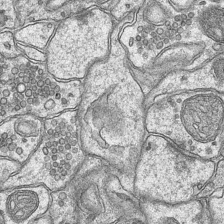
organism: Mouse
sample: CA1 Hippocampus